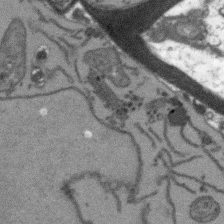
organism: Arabidopsis thaliana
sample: Root tip